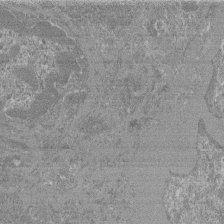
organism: Mouse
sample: Glomerulus